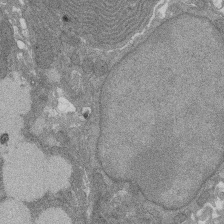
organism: Rat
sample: Salivary granule